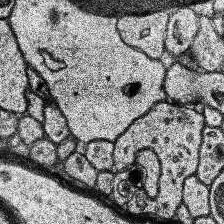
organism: Human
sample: Temporal Lobe